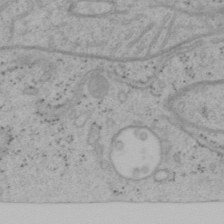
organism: Human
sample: HeLa cells